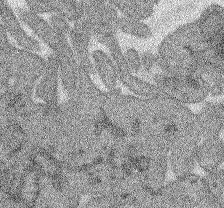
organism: Human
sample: HeLa cells